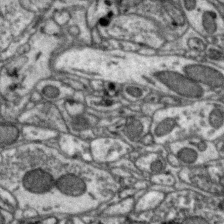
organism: Zebra finch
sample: Brain